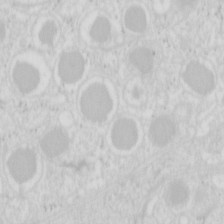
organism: Mouse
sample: Pancreas